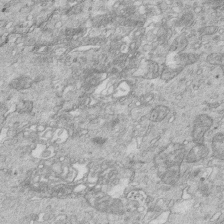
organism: Mouse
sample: Multiciliated cells